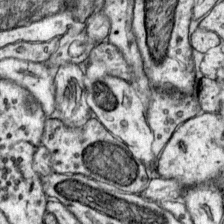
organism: Mouse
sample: Primary visual cortex